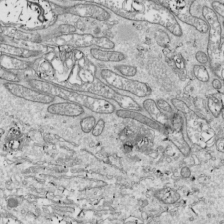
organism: Drosophila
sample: Cell division; meiosis; drosophila spermatocytes